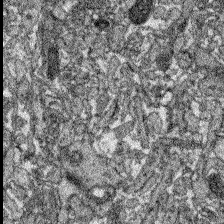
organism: Zebrafish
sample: Larval olfactory bulb